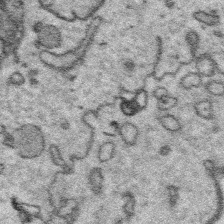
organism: Platynereis dumerilii